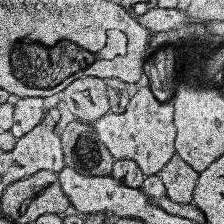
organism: Human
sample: Temporal Lobe